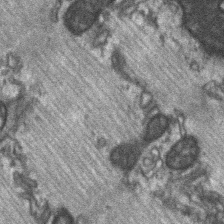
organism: C57BL Mouse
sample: Soleus